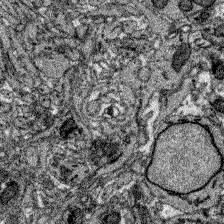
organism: Zebrafish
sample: Larval olfactory bulb